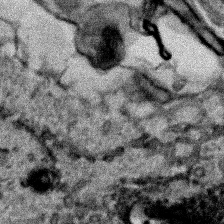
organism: Human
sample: Mitochondria in HCT116 cells